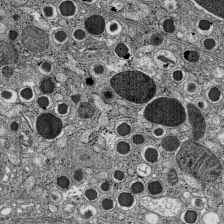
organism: C57BL Mouse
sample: Pancreatic islet